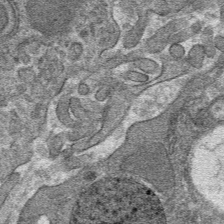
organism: Mouse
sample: Mouse hepatocytes